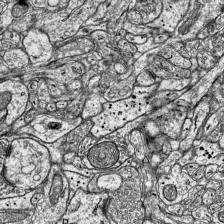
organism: Mouse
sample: Visual Cortex